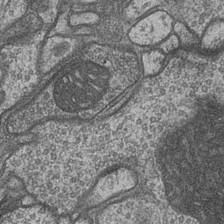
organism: Drosophila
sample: Optic medulla